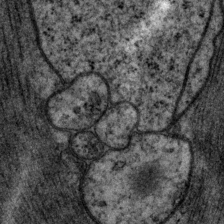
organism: P. pacificus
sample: Pharynx